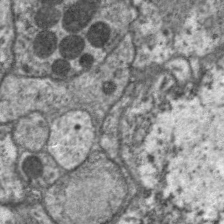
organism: C. elegans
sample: Pharynx